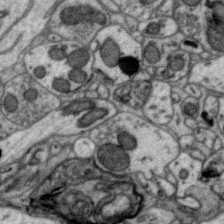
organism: Zebra finch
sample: Brain